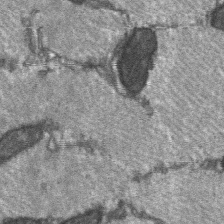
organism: C57BL Mouse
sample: Soleus